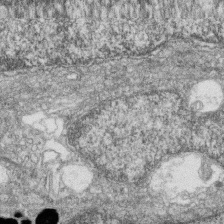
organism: Zebrafish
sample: Cilia; retinal pigment epithelium